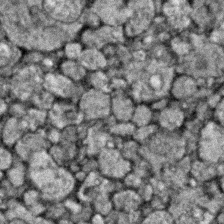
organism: Zebrafish